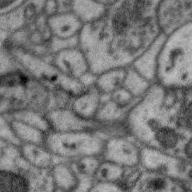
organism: Zebra finch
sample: Brain